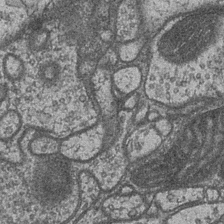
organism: Drosophila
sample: Optic medulla